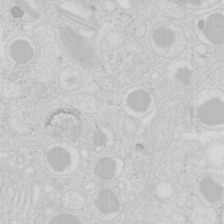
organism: Mouse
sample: Pancreas